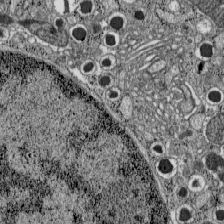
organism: C57BL Mouse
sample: Pancreatic islet